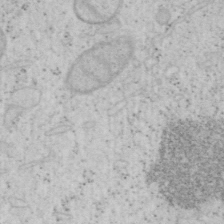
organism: Human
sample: HeLa cells